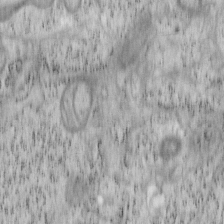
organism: Human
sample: HeLa cells